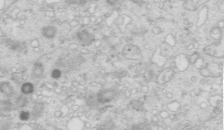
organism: Mouse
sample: Multiciliated cells